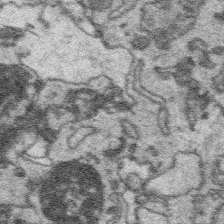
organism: Platynereis dumerilii